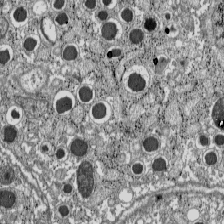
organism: C57BL Mouse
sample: Pancreatic islet